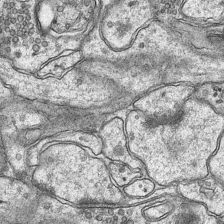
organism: Mouse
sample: CA1 Hippocampus